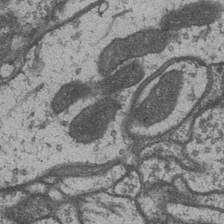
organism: Drosophila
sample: Optic medulla